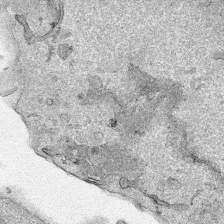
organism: Human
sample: Mitochondria in HCT116 cells